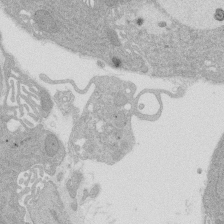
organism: Rat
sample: Salivary granule